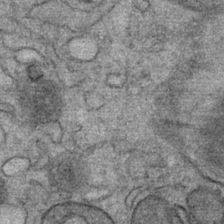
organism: Mouse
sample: Mouse Salivary gland